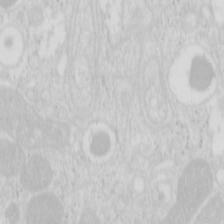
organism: Mouse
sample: Pancreas